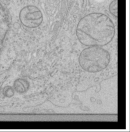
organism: Human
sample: Mitochondria in HCT116 cells